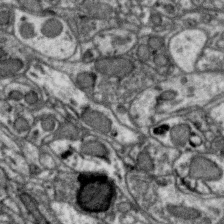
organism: Zebra finch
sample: Brain